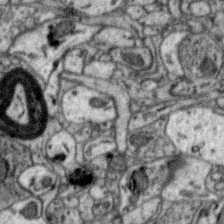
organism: Zebra finch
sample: Brain